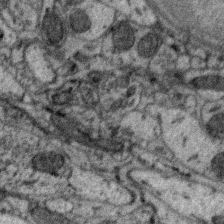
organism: Zebra finch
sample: Brain